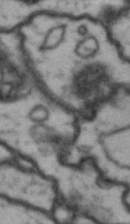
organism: Drosophila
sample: Brain